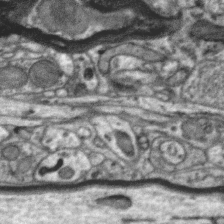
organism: Zebra finch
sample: Brain